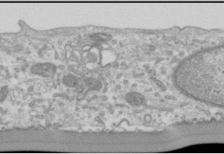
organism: Human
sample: Cilia; basal body in RPE cells